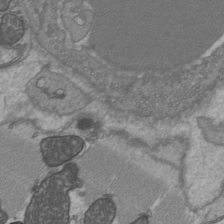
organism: C57BL Mouse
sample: Heart